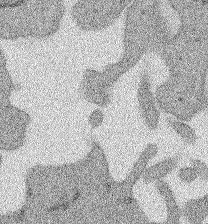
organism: Human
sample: HeLa cells